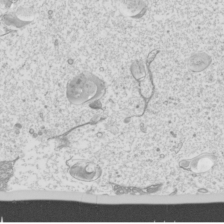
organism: Mouse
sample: Cilia; mouse epididymis